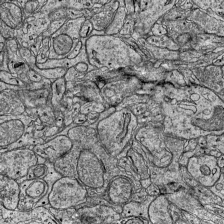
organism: Mouse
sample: Visual Cortex